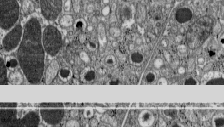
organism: C57BL Mouse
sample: Pancreatic islet